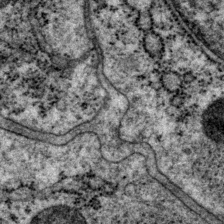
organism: P. pacificus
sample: Pharynx